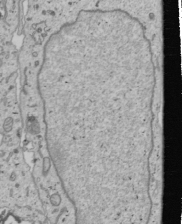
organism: Human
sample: Mitochondria in U2OS cells